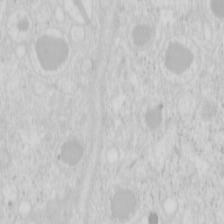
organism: Mouse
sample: Pancreas